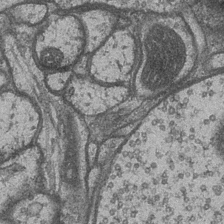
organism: Drosophila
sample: Optic medulla